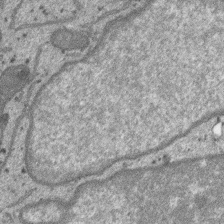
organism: Human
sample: Lung epithelial cells infected with SARS-CoV-2